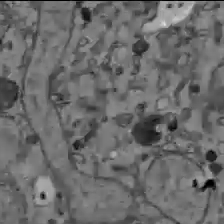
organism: C57BL Mouse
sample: Liver